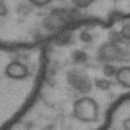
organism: Drosophila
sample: Brain